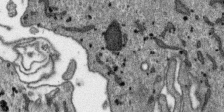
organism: Human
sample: Lung epithelial cells, uninfected (mock) control